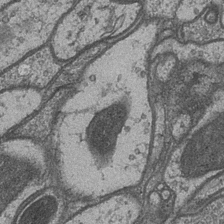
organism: Drosophila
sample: Optic medulla